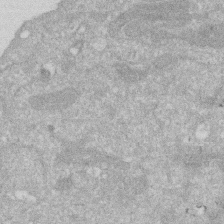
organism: Human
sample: HIV infected U937 cells